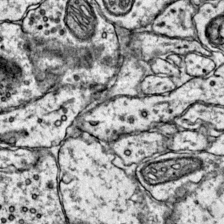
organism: Mouse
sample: Primary visual cortex